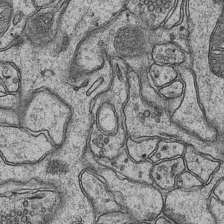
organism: Mouse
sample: CA1 Hippocampus